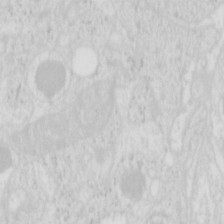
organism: Mouse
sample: Pancreas